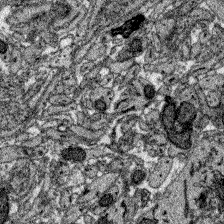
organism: Zebrafish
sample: Larval olfactory bulb